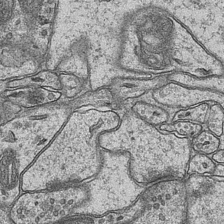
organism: Mouse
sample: CA1 Hippocampus